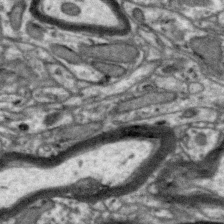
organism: Zebra finch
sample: Brain